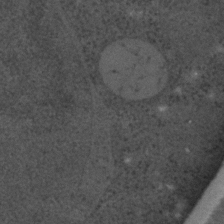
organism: C. elegans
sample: C. elegans embryo